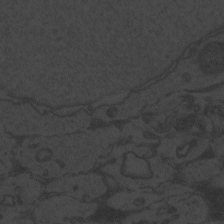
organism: Zebrafish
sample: Macrophage infected with Toxoplasma gondii